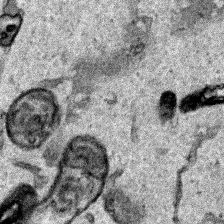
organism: Human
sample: Mitochondria in HCT116 cells